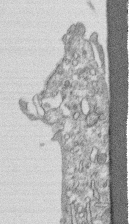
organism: Human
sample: CRL-1474